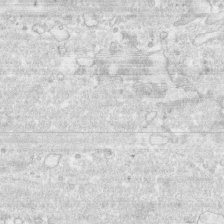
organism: Human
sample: CRL-1474